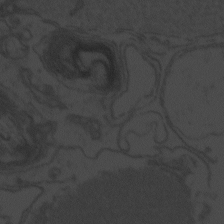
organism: Zebrafish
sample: Macrophage infected with Toxoplasma gondii